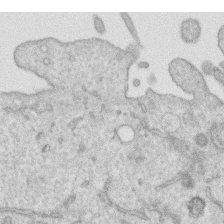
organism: Human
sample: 1205lu cells